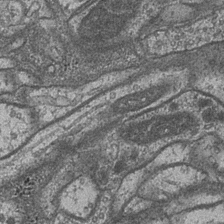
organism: Drosophila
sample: Optic medulla